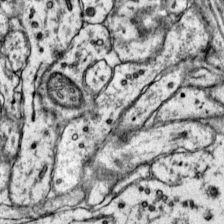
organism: Mouse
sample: Primary visual cortex